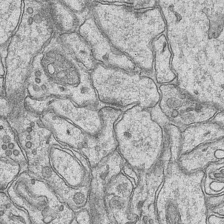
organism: Mouse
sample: CA1 Hippocampus